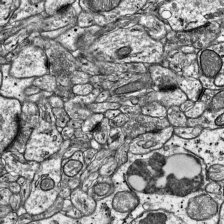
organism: Mouse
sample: Visual Cortex